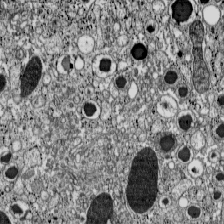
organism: C57BL Mouse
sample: Pancreatic islet